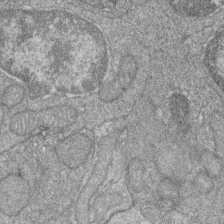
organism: Zebrafish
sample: Cilia; retinal pigment epithelium